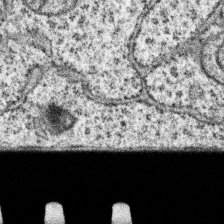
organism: Human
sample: HeLa cells